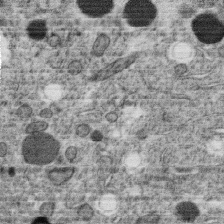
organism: C. elegans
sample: C. elegans oocyte; sperm cells